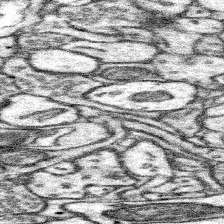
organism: Mouse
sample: Somatosensory cortex neuropil